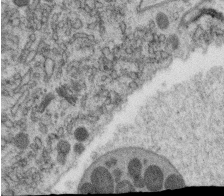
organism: C. elegans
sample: C. elegans oocyte; sperm cells